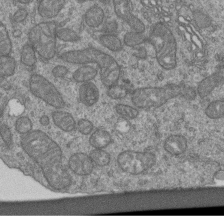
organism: Human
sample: Retinal organoid Rod and Cone cells